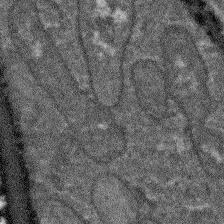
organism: Arabidopsis thaliana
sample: Root tip